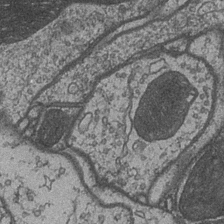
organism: Drosophila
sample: Optic medulla